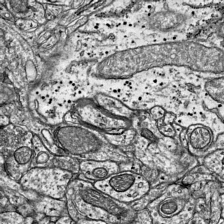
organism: Mouse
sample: Visual Cortex